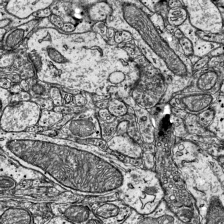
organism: Mouse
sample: Visual Cortex